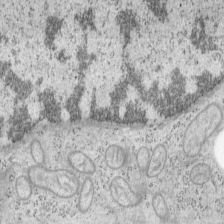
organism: Mouse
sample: OT-I killer T cells with ID8 ovarian cancer cells